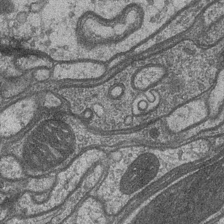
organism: Drosophila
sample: Optic medulla